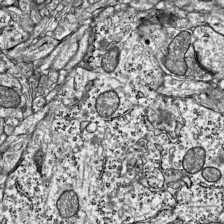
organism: Mouse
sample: Visual Cortex